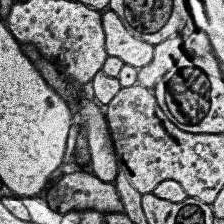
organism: Human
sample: Temporal Lobe